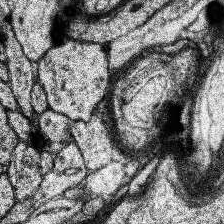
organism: Human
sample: Temporal Lobe